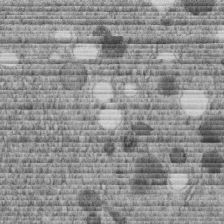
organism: C. elegans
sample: C. elegans embryo early stage